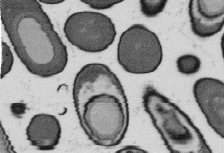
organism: B. subtilis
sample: Bacterial spore